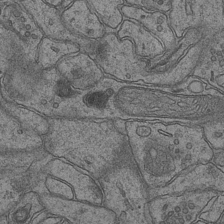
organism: Mouse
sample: CA1 Hippocampus